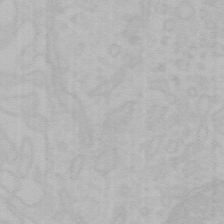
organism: Mouse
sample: Choroid plexus